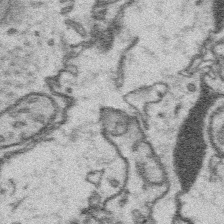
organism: Platynereis dumerilii